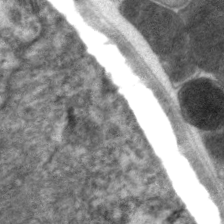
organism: C. elegans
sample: Pharynx